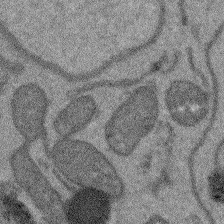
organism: Arabidopsis thaliana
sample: Root tip